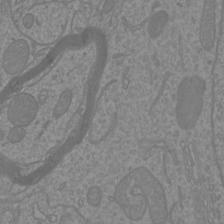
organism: Mouse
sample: Cortical neurons